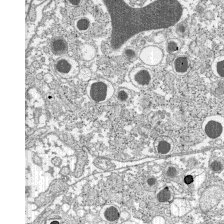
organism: C57BL Mouse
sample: Pancreatic islet